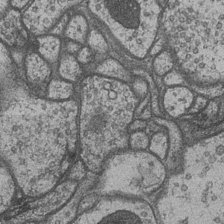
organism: Drosophila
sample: Optic medulla